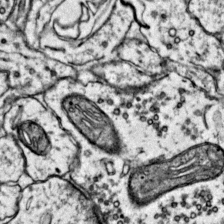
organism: Mouse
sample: Primary visual cortex